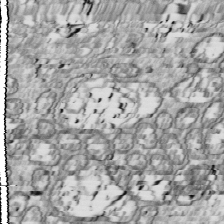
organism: Drosophila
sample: Cell division; meiosis; drosophila spermatocytes